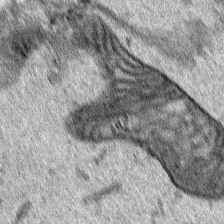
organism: Human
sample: Mitochondria in HCT116 cells